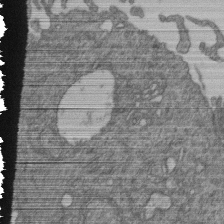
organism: Human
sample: Retinal organoid Rod and Cone cells